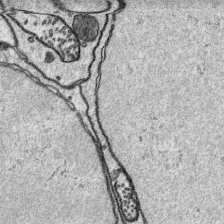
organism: Platynereis dumerilii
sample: Parapodia